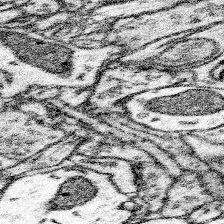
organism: Mouse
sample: Somatosensory cortex neuropil